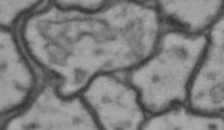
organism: Drosophila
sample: Brain